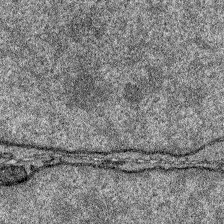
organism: Zebrafish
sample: Larval olfactory bulb